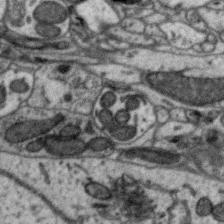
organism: Zebra finch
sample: Brain